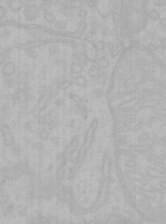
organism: Mouse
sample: Choroid plexus